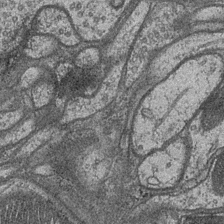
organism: Drosophila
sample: Optic medulla